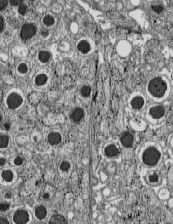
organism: C57BL Mouse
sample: Pancreatic islet